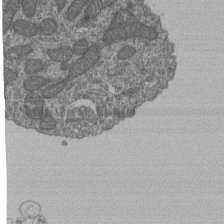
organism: Human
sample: Retinal organoid Rod and Cone cells